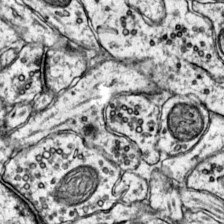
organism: Mouse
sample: Primary visual cortex